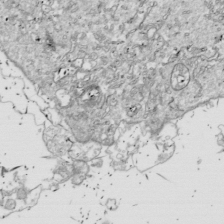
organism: Drosophila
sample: Cell division; meiosis; drosophila spermatocytes